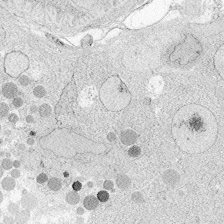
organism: Zebrafish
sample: Whole-Brain